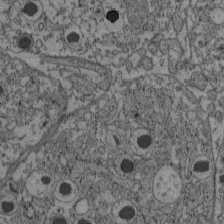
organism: C57BL Mouse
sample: Pancreatic islet